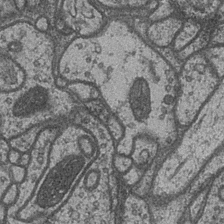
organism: Drosophila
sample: Optic medulla